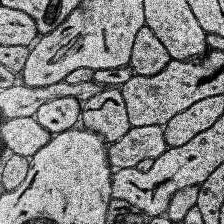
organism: Human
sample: Temporal Lobe